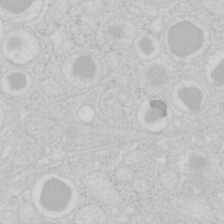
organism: Mouse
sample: Pancreas